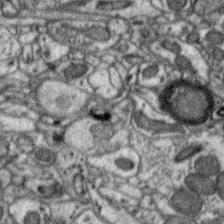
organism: Zebra finch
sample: Brain